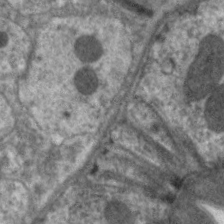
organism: C. elegans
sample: Pharynx